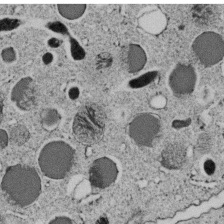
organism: C. elegans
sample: C. elegans embryo early stage